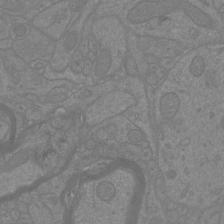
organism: Mouse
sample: Cortical neurons